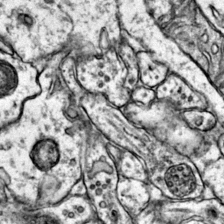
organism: Mouse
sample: Primary visual cortex